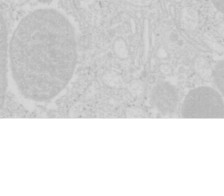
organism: Mouse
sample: Pancreas